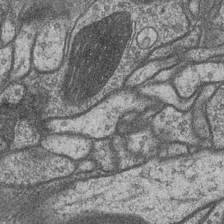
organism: Drosophila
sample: Optic medulla